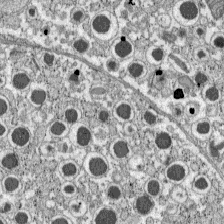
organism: C57BL Mouse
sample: Pancreatic islet